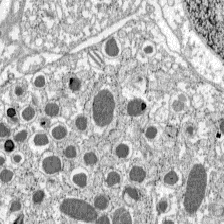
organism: C57BL Mouse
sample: Pancreatic islet